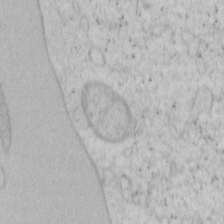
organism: Human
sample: HeLa cells